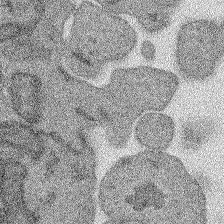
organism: Human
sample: HeLa cells